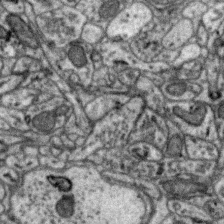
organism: Zebra finch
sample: Brain